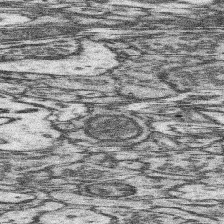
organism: Mouse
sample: Somatosensory cortex neuropil